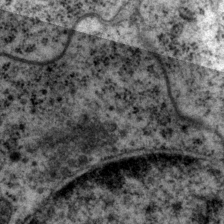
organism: P. pacificus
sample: Pharynx